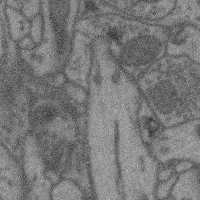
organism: Mouse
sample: Cerebral cortex